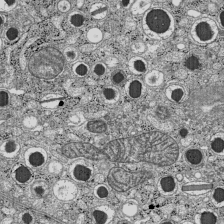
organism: C57BL Mouse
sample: Pancreatic islet